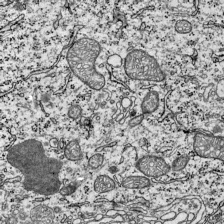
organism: Mouse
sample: Visual Cortex